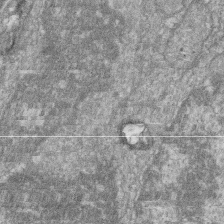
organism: Zebrafish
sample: Cilia; retinal pigment epithelium